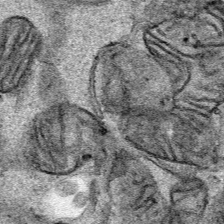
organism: Human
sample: Mitochondria in HCT116 cells